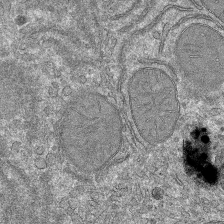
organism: Mouse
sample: Mouse hepatocytes